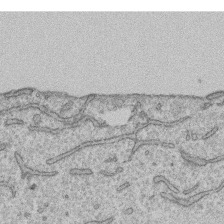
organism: Human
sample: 1205lu cells